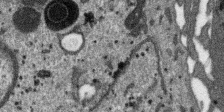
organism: Human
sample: Lung epithelial cells infected with SARS-CoV-2